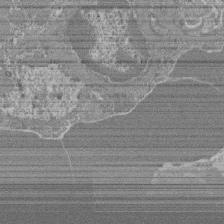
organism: Mouse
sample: Glomerulus